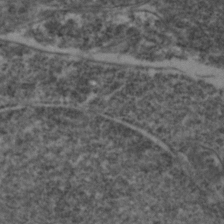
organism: Zebrafish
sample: Zebrafish embryo